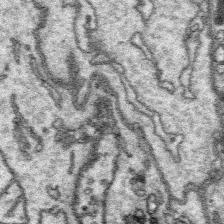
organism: Platynereis dumerilii